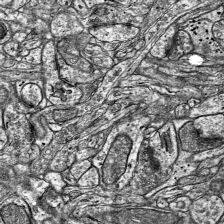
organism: Mouse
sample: Visual Cortex